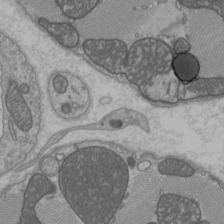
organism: C57BL Mouse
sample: Heart